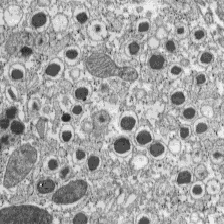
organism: C57BL Mouse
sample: Pancreatic islet